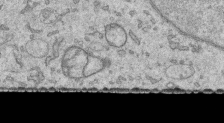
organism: Human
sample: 1205lu cells